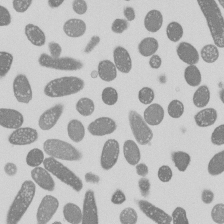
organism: E. coli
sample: Bacterial nucleoid